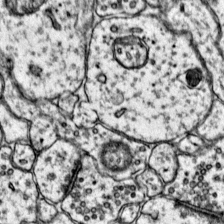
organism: Mouse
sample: Primary visual cortex